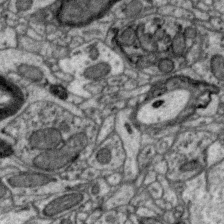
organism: Zebra finch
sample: Brain